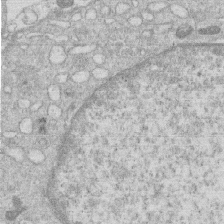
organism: Human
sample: Macrophage cells